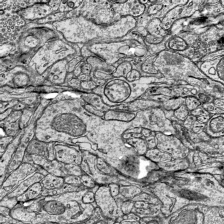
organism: Mouse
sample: Visual Cortex